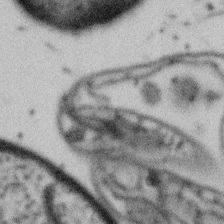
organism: Gemmata obscuriglobus